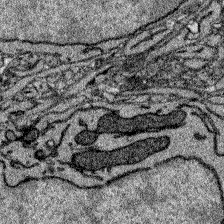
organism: Zebrafish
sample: Larval olfactory bulb